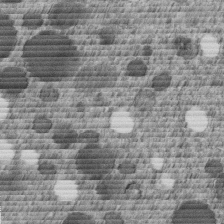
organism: C. elegans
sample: C. elegans embryo early stage